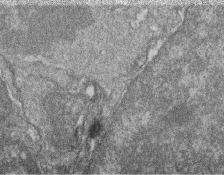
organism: Zebrafish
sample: Cilia; retinal pigment epithelium